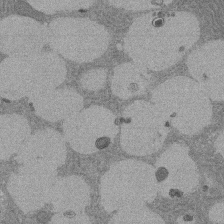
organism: Rat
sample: Salivary granule